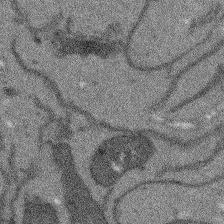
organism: Arabidopsis thaliana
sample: Root tip